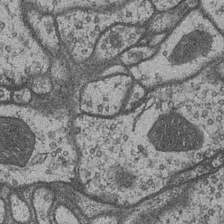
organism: Drosophila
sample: Optic medulla